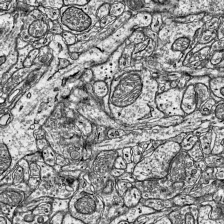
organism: Mouse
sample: Visual Cortex